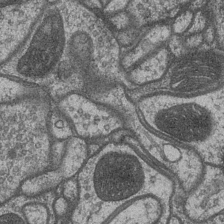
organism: Drosophila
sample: Optic medulla